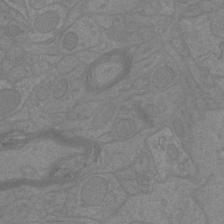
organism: Mouse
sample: Cortical neurons